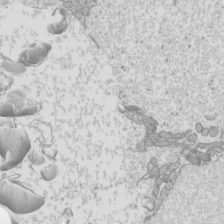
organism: Mouse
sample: Cilia; mouse epididymis